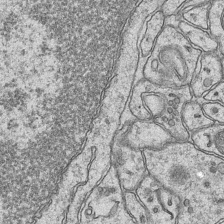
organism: Mouse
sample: CA1 Hippocampus